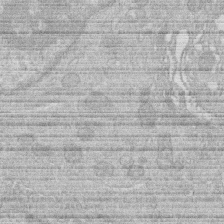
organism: Human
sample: Macrophage cells